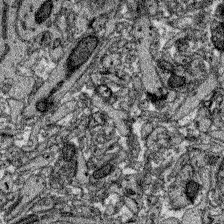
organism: Zebrafish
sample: Larval olfactory bulb